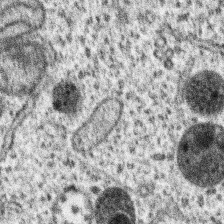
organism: Human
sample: HeLa cells